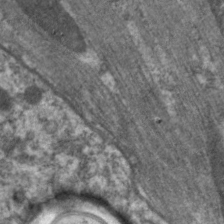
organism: C. elegans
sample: Pharynx